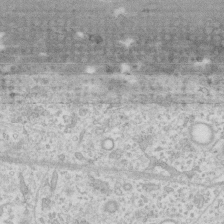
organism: Human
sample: Fibroblast cells